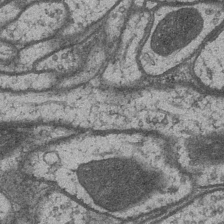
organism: Drosophila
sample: Optic medulla